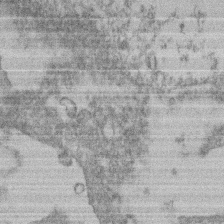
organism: Mouse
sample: T cell stromal cell synapse